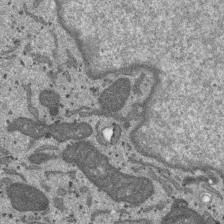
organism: Human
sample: Lung epithelial cells infected with SARS-CoV-2